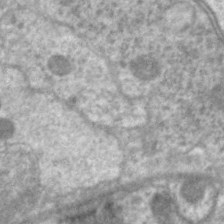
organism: C. elegans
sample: Pharynx